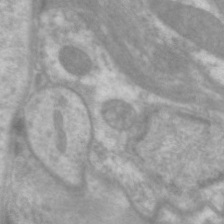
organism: C. elegans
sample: Pharynx